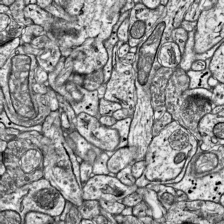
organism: Mouse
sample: Visual Cortex